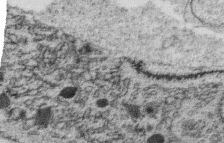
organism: C. elegans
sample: C. elegans oocyte; sperm cells